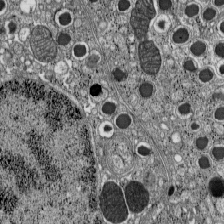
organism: C57BL Mouse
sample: Pancreatic islet